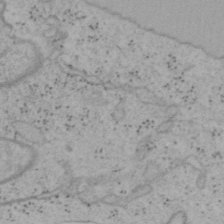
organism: Human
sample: HeLa cells